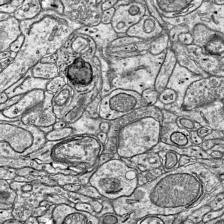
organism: Mouse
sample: Visual Cortex